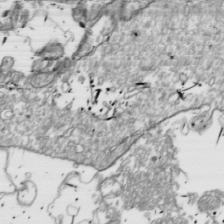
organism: Drosophila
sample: Cell division; meiosis; drosophila spermatocytes